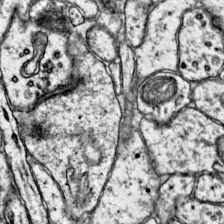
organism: Mouse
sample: Primary visual cortex